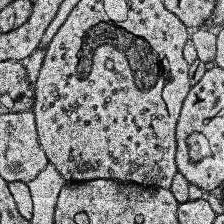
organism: Human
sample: Temporal Lobe